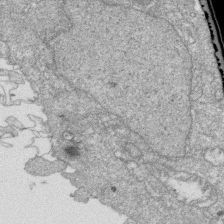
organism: Human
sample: HeLa cell HIV synapse